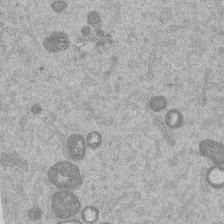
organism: Mouse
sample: Dividing mouse embryo 1 cell stage